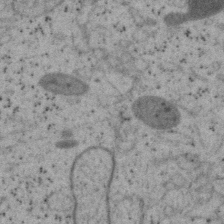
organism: Human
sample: HeLa cells